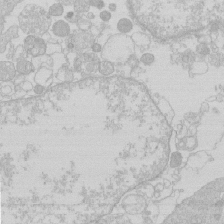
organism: Human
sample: Macrophage cells